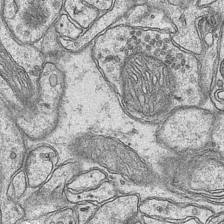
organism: Mouse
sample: CA1 Hippocampus